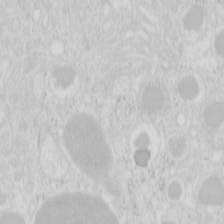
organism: Mouse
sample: Pancreas